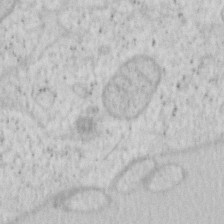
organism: Human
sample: HeLa cells